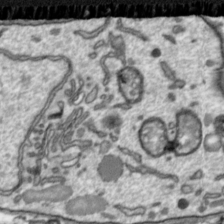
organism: Toxoplasma gondii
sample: Parasites in a vacuole inside a host cell